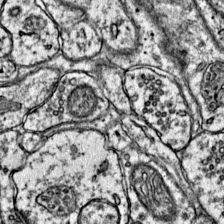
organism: Mouse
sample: Primary visual cortex